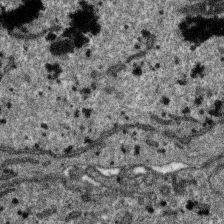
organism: Human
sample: Lung epithelial cells infected with SARS-CoV-2